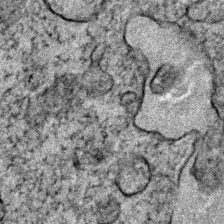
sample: Trachea